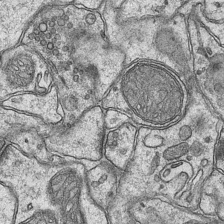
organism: Mouse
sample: CA1 Hippocampus